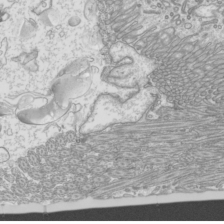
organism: Mouse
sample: Cilia; mouse epididymis